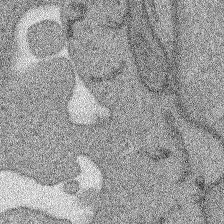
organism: Human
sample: HeLa cells